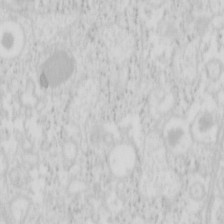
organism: Mouse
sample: Pancreas